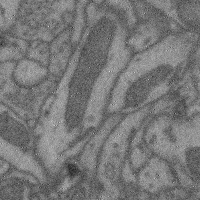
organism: Mouse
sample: Cerebral cortex